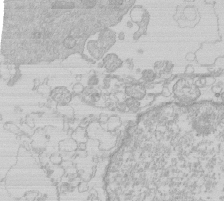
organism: Human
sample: Macrophage cells